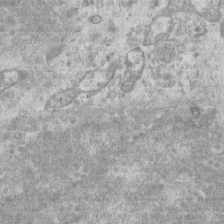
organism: Mouse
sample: Centriole in ependymal cells